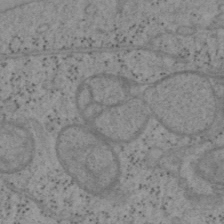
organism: Human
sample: HeLa cells